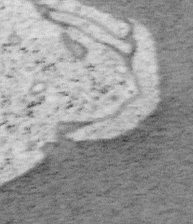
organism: Mouse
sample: OT-I killer T cells with ID8 ovarian cancer cells